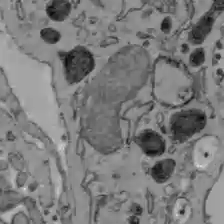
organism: C57BL Mouse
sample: Liver